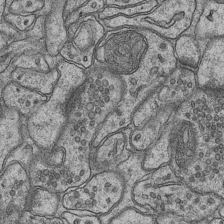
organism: Mouse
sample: CA1 Hippocampus